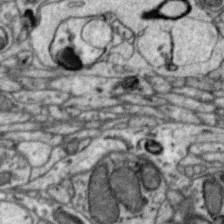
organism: Zebra finch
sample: Brain